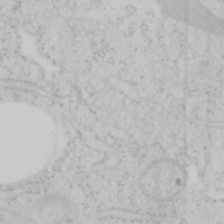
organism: Mouse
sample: OT-I killer T cells with ID8 ovarian cancer cells